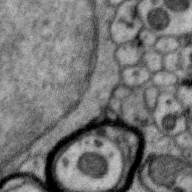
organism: Zebra finch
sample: Brain